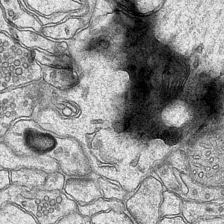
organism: Mouse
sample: CA1 Hippocampus